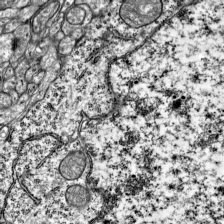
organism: Mouse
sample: Visual Cortex